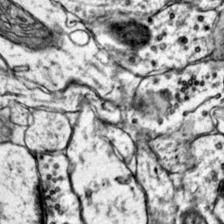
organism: Mouse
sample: Primary visual cortex